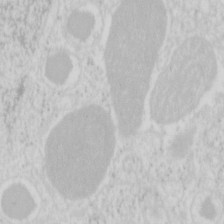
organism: Mouse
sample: Pancreas